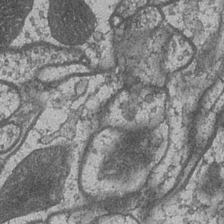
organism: Drosophila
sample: Optic medulla